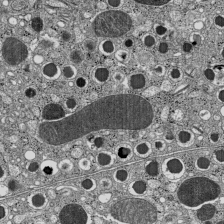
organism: C57BL Mouse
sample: Pancreatic islet